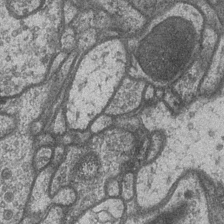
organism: Drosophila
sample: Optic medulla